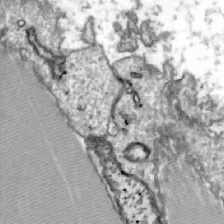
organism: Zebrafish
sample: Actinotrichia fibers